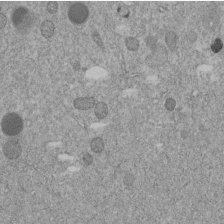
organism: C. elegans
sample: C. elegans embryo early stage